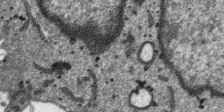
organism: Human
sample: Lung epithelial cells infected with SARS-CoV-2